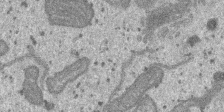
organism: Human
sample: Lung epithelial cells infected with SARS-CoV-2